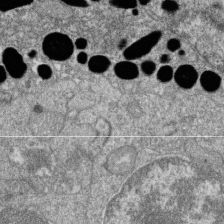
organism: Zebrafish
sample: Cilia; retinal pigment epithelium